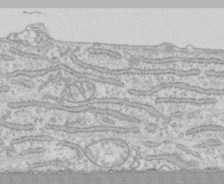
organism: Human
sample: CRL-1474